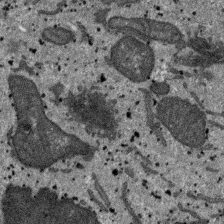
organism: Human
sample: Lung epithelial cells, uninfected (mock) control